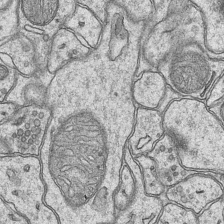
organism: Mouse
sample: CA1 Hippocampus